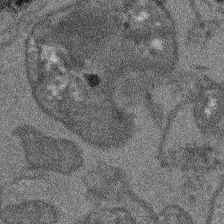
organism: Arabidopsis thaliana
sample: Root tip